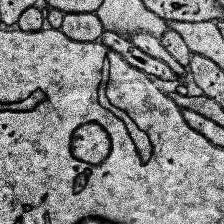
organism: Human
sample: Temporal Lobe